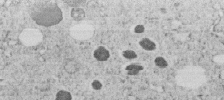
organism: C. elegans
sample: C. elegans embryo early stage